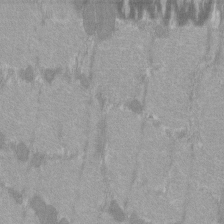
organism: C57BL Mouse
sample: Tibialis anterior muscle cell